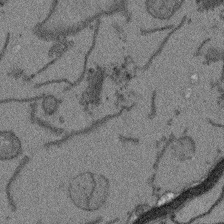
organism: Arabidopsis thaliana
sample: Root tip